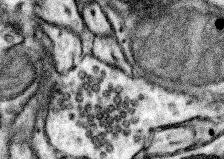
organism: Mouse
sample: Somatosensory cortex neuropil